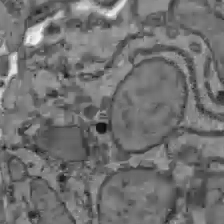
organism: C57BL Mouse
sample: Liver